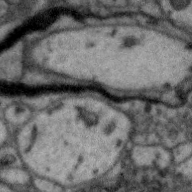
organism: Zebra finch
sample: Brain